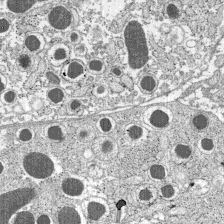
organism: C57BL Mouse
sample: Pancreatic islet